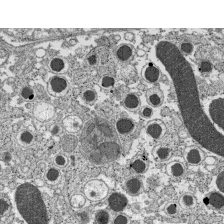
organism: C57BL Mouse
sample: Pancreatic islet